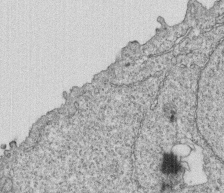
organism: Human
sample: HeLa cell HIV synapse